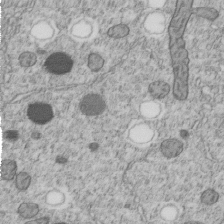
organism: C. elegans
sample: C. elegans embryo early stage